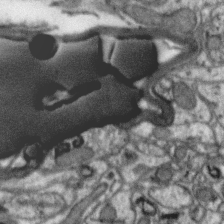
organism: Zebra finch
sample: Brain